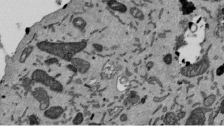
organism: Mouse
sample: ED-1 cell nuclei; centrioles